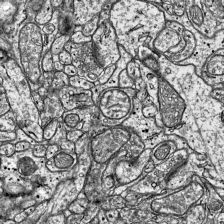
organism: Mouse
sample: Visual Cortex